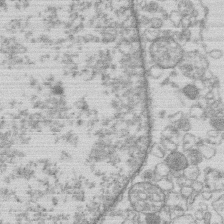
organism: Human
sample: Macrophage cells